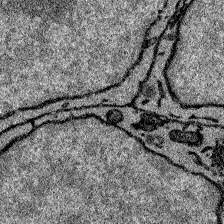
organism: Zebrafish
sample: Larval olfactory bulb